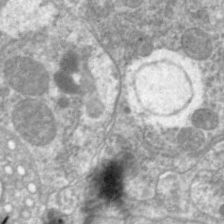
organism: C. elegans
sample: Pharynx